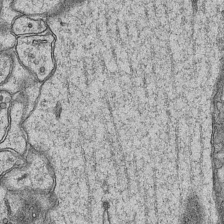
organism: Mouse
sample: CA1 Hippocampus